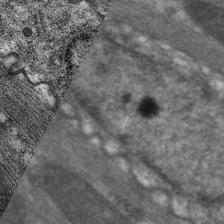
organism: C. elegans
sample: Pharynx